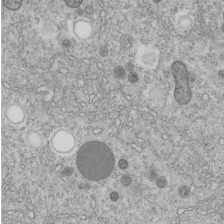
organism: C. elegans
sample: C. elegans embryo early stage